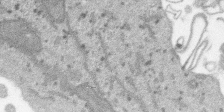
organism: Human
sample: Lung epithelial cells infected with SARS-CoV-2